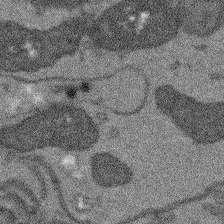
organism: Arabidopsis thaliana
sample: Root tip